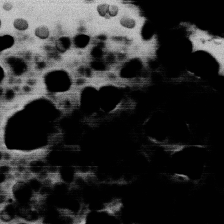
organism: Human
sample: HIV infected U937 cells